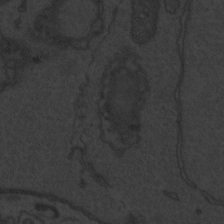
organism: Zebrafish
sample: Macrophage infected with Toxoplasma gondii